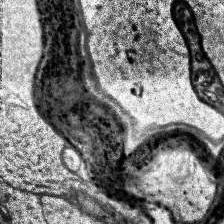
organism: Human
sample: Temporal Lobe